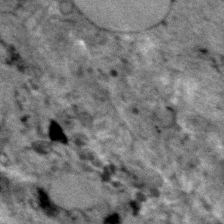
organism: Human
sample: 1205lu cells